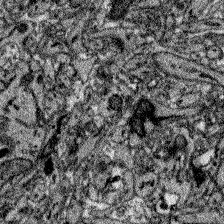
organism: Zebrafish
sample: Larval olfactory bulb